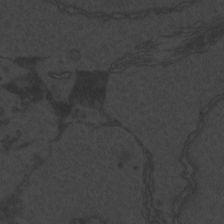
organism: Zebrafish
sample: Macrophage infected with Toxoplasma gondii